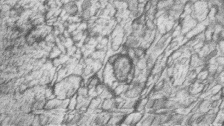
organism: Zebrafish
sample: synaptic ribbons in rod cells and cone cells